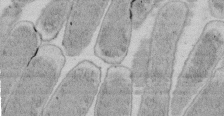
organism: E. coli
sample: Bacterial nucleoid